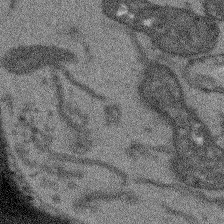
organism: Arabidopsis thaliana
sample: Root tip